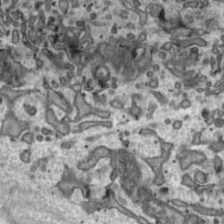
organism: Toxoplasma gondii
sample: Parasites in a vacuole inside a host cell